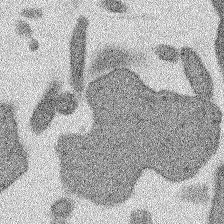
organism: Human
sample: HeLa cells